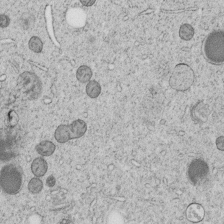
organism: C. elegans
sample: C. elegans embryo early stage